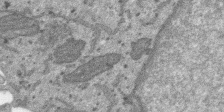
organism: Human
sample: Lung epithelial cells infected with SARS-CoV-2